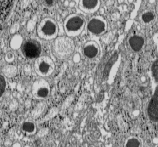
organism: C57BL Mouse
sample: Pancreatic islet